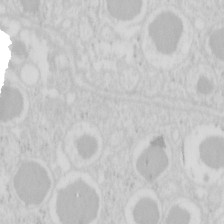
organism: Mouse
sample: Pancreas